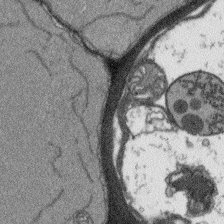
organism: Arabidopsis thaliana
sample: Root tip